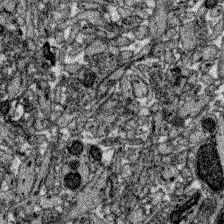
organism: Zebrafish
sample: Larval olfactory bulb